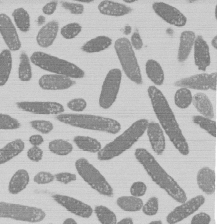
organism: E. coli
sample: Bacterial nucleoid